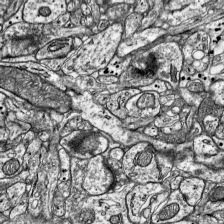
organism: Mouse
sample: Visual Cortex